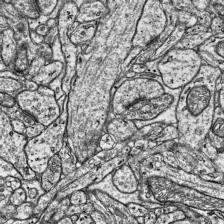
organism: Mouse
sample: Visual Cortex